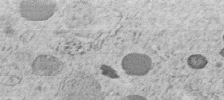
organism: C. elegans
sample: C. elegans embryo early stage